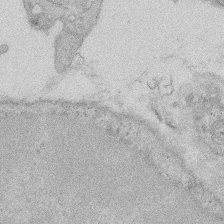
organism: Rat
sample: Salivary granule